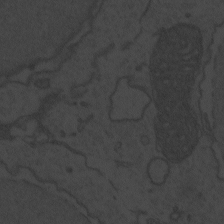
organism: Zebrafish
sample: Macrophage infected with Toxoplasma gondii